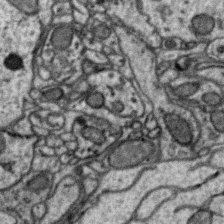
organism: Zebra finch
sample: Brain